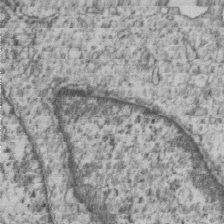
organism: Human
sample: MDA-MB-231 cells